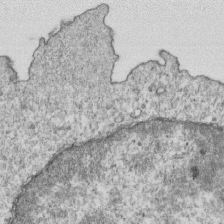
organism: Mouse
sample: Activated OT-1 CD8+ T cells